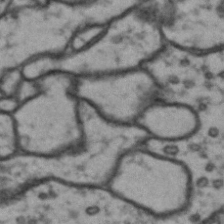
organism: Drosophila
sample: Brain